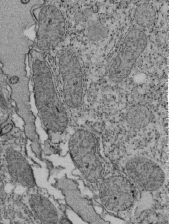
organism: Tetrahymena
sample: Cilia in tetrahymena